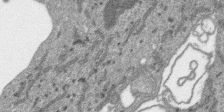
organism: Human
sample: Lung epithelial cells infected with SARS-CoV-2